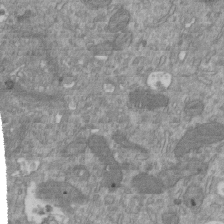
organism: Mouse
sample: ED-1 cell nuclei; centrioles